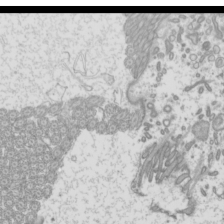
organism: Mouse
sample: Cilia; mouse epididymis